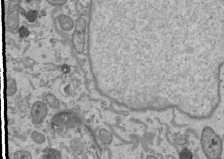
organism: Human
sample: Mitochondria in U2OS cells